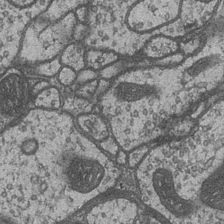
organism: Drosophila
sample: Optic medulla